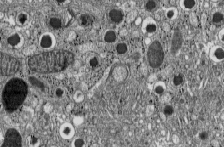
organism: C57BL Mouse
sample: Pancreatic islet